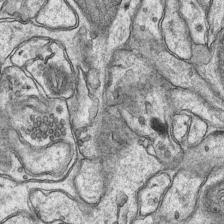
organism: Mouse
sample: CA1 Hippocampus